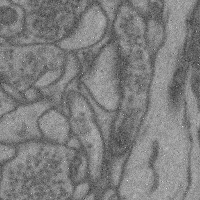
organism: Mouse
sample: Cerebral cortex